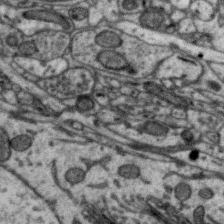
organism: Zebra finch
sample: Brain